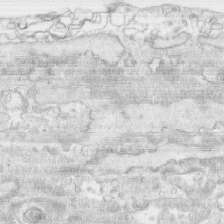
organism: Human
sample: CRL-1474